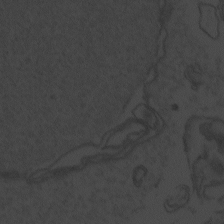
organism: Zebrafish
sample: Macrophage infected with Toxoplasma gondii